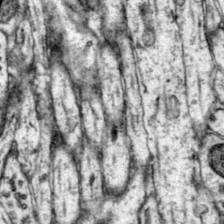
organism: Mouse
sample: Primary visual cortex